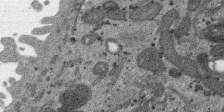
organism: Human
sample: Lung epithelial cells infected with SARS-CoV-2